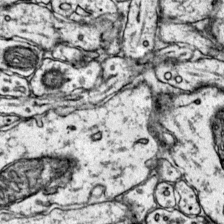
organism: Mouse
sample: Primary visual cortex